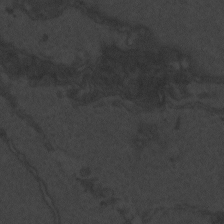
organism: Zebrafish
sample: Macrophage infected with Toxoplasma gondii